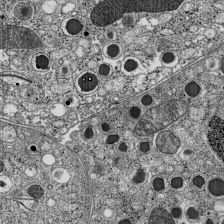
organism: C57BL Mouse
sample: Pancreatic islet